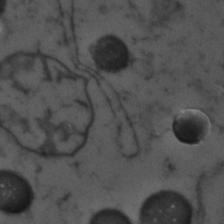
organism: Zebrafish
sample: Zebrafish embryo